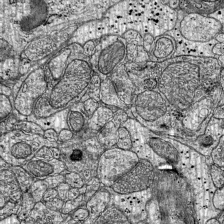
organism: Mouse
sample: Visual Cortex